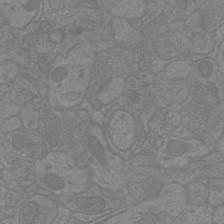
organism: Mouse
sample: Cortical neurons